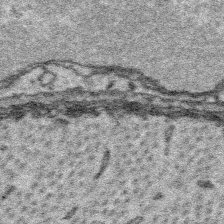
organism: Platynereis dumerilii